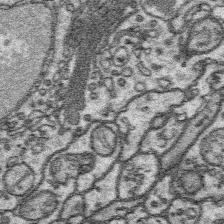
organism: Platynereis dumerilii